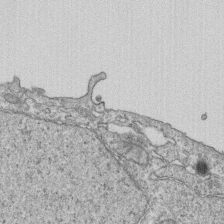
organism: Human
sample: HeLa cell HIV synapse